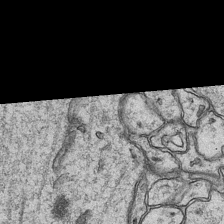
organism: Mouse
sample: CA1 Hippocampus